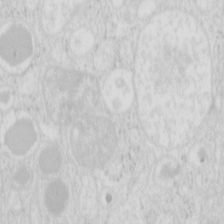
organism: Mouse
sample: Pancreas